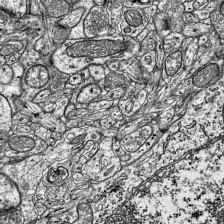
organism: Mouse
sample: Visual Cortex